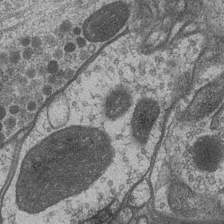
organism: Drosophila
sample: Optic medulla